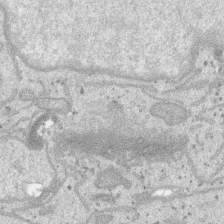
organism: Human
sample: Lung epithelial cells infected with SARS-CoV-2